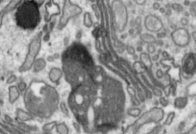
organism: Toxoplasma gondii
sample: Parasites in a vacuole inside a host cell